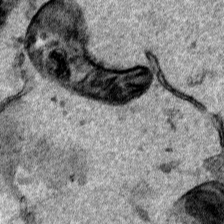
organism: Human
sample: Mitochondria in HCT116 cells